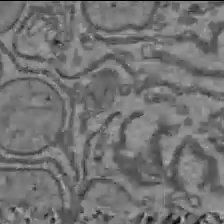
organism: C57BL Mouse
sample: Liver